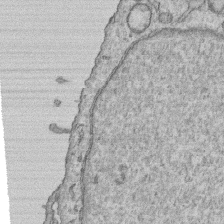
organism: Human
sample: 1205lu cells